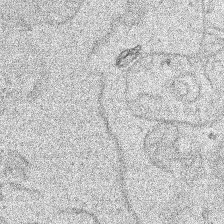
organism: Human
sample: Mitochondria in HCT116 cells